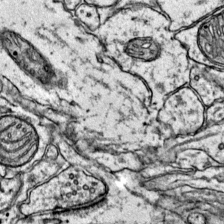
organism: Mouse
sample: Primary visual cortex